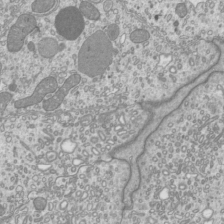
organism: Mouse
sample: Cilia; mouse epididymis